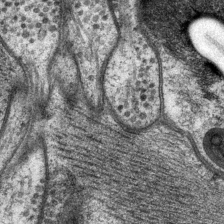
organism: P. pacificus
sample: Pharynx